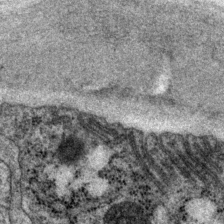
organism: P. pacificus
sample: Pharynx